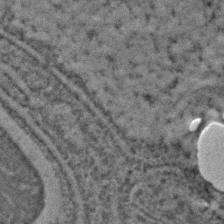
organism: C. elegans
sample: C. elegans embryo